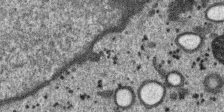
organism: Human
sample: Lung epithelial cells infected with SARS-CoV-2